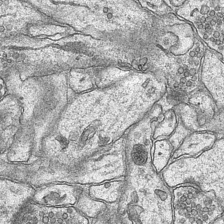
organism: Mouse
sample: CA1 Hippocampus